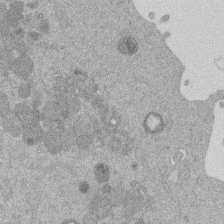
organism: Mouse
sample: Dividing mouse embryo 1 cell stage